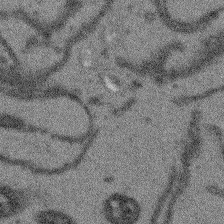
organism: Arabidopsis thaliana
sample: Root tip